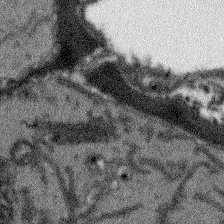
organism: Arabidopsis thaliana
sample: Root tip